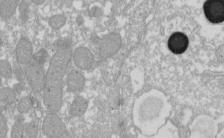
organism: Xenopus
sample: Cilia; centrioles in frog embryo cells